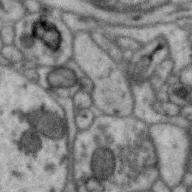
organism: Zebra finch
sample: Brain